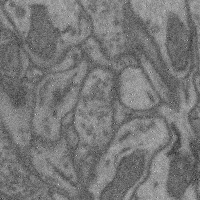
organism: Mouse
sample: Cerebral cortex